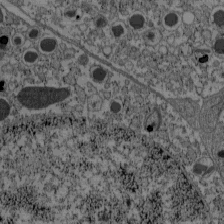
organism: C57BL Mouse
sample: Pancreatic islet